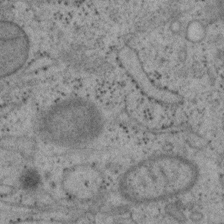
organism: Human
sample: HeLa cells